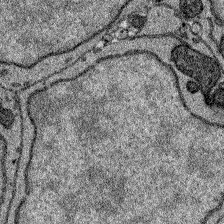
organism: Zebrafish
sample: Larval olfactory bulb